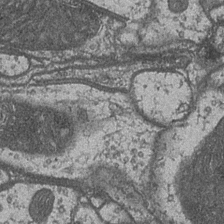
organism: Drosophila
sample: Optic medulla